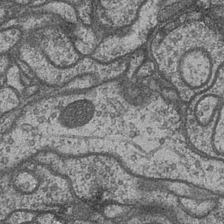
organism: Drosophila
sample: Optic medulla